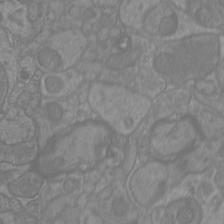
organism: Mouse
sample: Cortical neurons